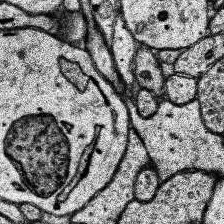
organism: Human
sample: Temporal Lobe